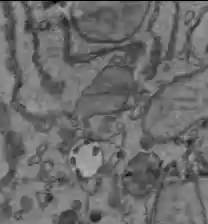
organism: C57BL Mouse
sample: Liver